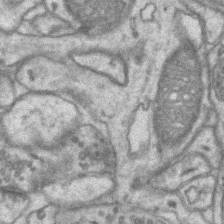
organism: Mouse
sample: CA1 Hippocampus